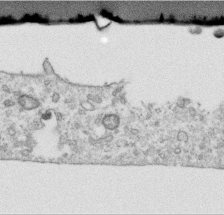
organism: Human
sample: Centriole in RPE cells